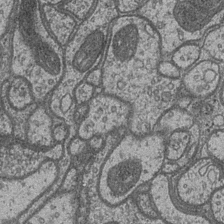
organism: Drosophila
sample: Optic medulla